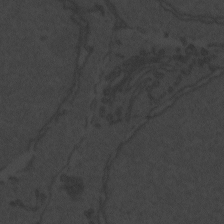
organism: Zebrafish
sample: Macrophage infected with Toxoplasma gondii